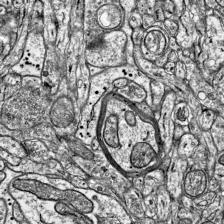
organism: Mouse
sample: Visual Cortex